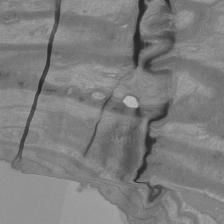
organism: Mouse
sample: Cortical neurons